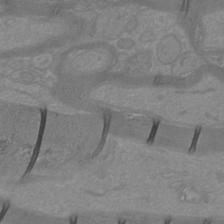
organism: Mouse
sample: Cortical neurons